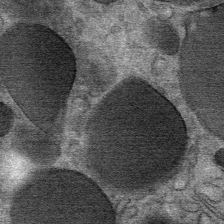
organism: Mouse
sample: Mouse Salivary gland